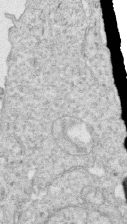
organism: Human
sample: HeLa cell HIV synapse